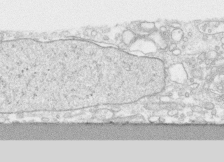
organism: Human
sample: CRL-1474